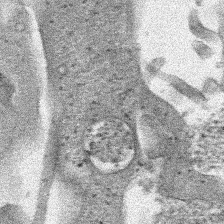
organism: Human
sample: Mitochondria in HCT116 cells